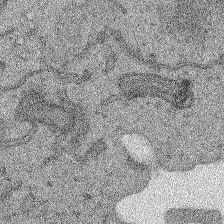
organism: Human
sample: HeLa cells